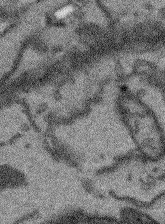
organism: Arabidopsis thaliana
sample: Root tip